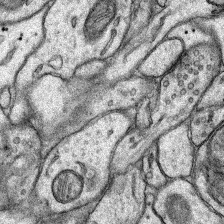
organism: Rat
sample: Hippocampus